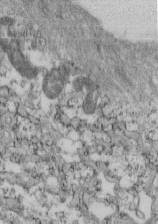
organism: Mouse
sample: Cilia; retinal pigment epithelium